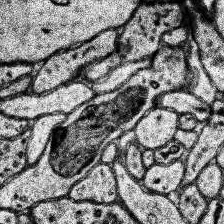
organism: Human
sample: Temporal Lobe